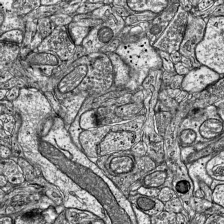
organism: Mouse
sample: Visual Cortex